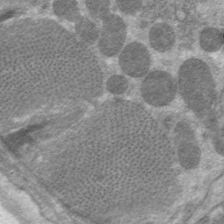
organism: C. elegans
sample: Pharynx